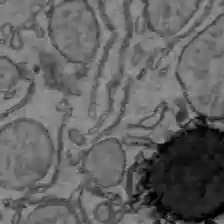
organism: C57BL Mouse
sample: Liver